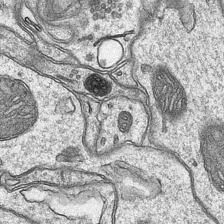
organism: Mouse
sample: CA1 Hippocampus